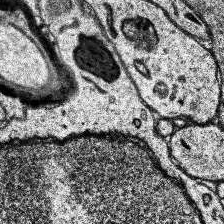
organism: Human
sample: Temporal Lobe